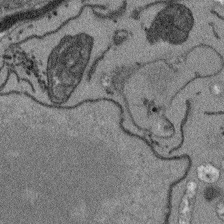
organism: Arabidopsis thaliana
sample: Root tip